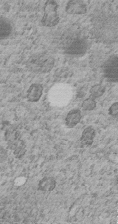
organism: C. elegans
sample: C. elegans embryo early stage